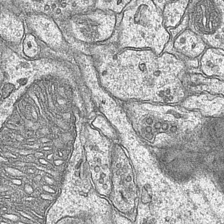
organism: Mouse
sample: CA1 Hippocampus